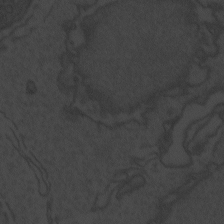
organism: Zebrafish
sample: Macrophage infected with Toxoplasma gondii